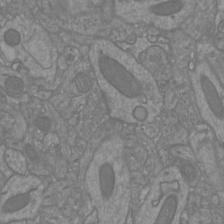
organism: Mouse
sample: Cortical neurons